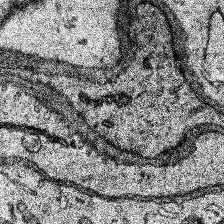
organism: Human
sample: Temporal Lobe